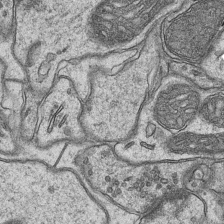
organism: Mouse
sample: CA1 Hippocampus